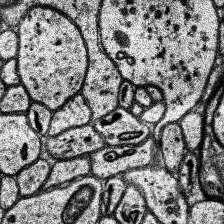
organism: Human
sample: Temporal Lobe